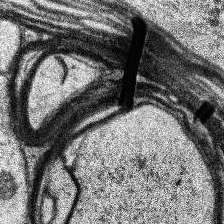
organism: Human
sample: Temporal Lobe